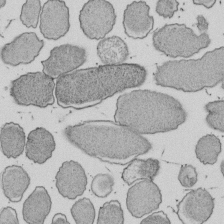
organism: E. coli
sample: Bacterial nucleoid